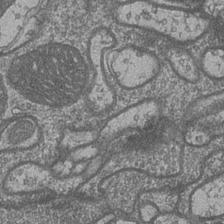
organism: Drosophila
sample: Optic medulla